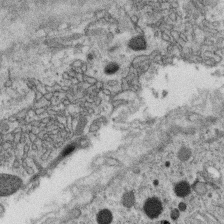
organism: C. elegans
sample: C. elegans oocyte; sperm cells